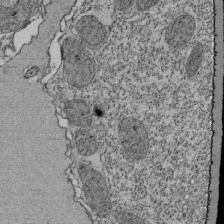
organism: Tetrahymena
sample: Cilia in tetrahymena